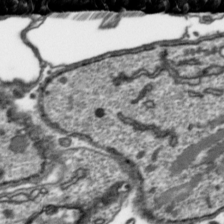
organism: Toxoplasma gondii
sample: Parasites in a vacuole inside a host cell